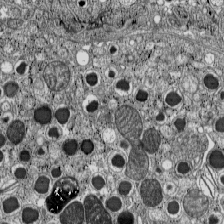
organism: C57BL Mouse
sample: Pancreatic islet